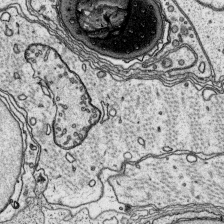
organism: Platynereis dumerilii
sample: Parapodia